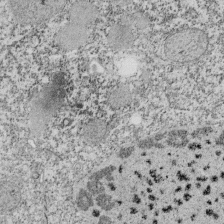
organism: Tetrahymena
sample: Cilia in tetrahymena